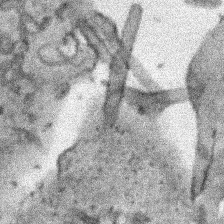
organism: Human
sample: Mitochondria in HCT116 cells